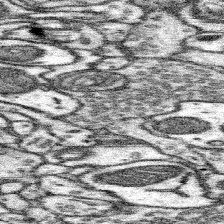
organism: Mouse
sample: Somatosensory cortex neuropil